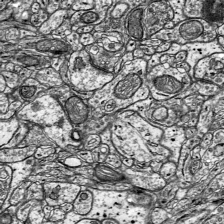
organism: Mouse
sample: Visual Cortex